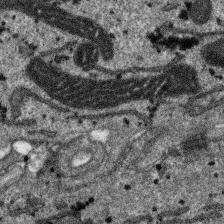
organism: Human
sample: Lung epithelial cells infected with SARS-CoV-2